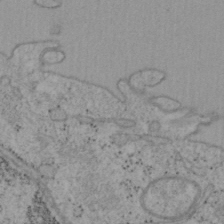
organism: Human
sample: HeLa cells